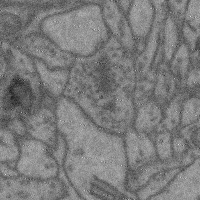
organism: Mouse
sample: Cerebral cortex